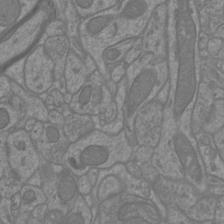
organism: Mouse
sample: Cortical neurons